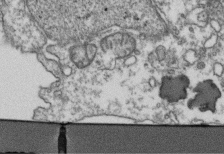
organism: Human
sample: Activated Jurkat CD4+ T cells